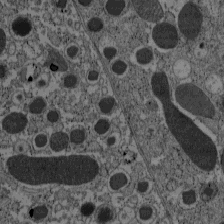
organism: C57BL Mouse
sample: Pancreatic islet